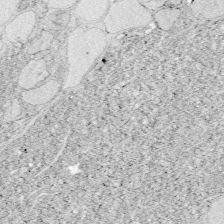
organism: Zebrafish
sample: Whole-Brain